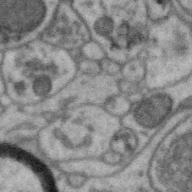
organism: Zebra finch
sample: Brain